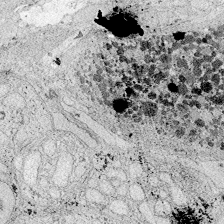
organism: Zebrafish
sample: Whole-Brain